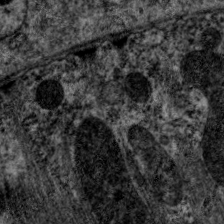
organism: C. elegans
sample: Pharynx